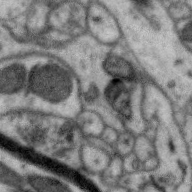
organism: Zebra finch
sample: Brain